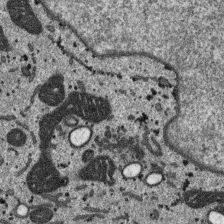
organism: Human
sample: Lung epithelial cells infected with SARS-CoV-2